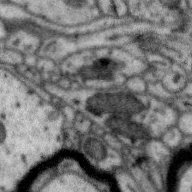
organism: Zebra finch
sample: Brain